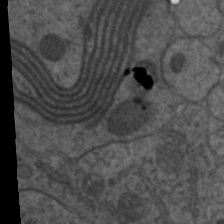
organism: C. elegans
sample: Pharynx